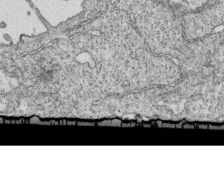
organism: Human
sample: HeLa cell HIV synapse